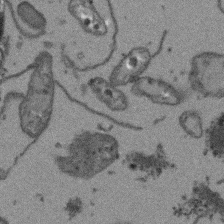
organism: Arabidopsis thaliana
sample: Root tip